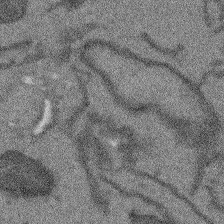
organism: Arabidopsis thaliana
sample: Root tip